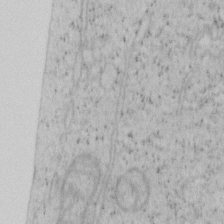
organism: Human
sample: HeLa cells